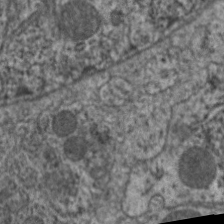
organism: C. elegans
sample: Pharynx